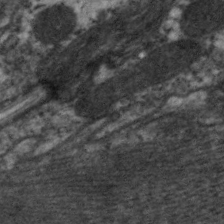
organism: C. elegans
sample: Pharynx